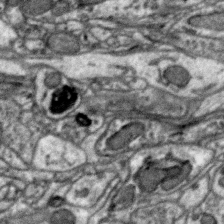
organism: Zebra finch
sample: Brain